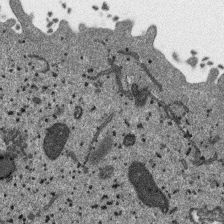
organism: Human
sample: Lung epithelial cells infected with SARS-CoV-2